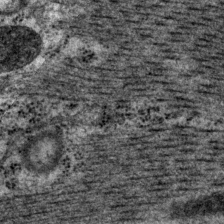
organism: P. pacificus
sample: Pharynx